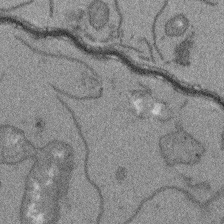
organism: Arabidopsis thaliana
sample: Root tip